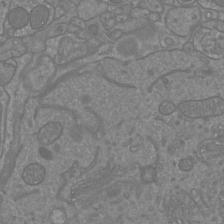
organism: Mouse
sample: Cortical neurons